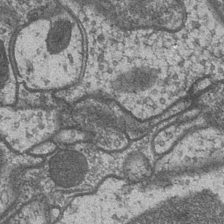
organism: Drosophila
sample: Optic medulla